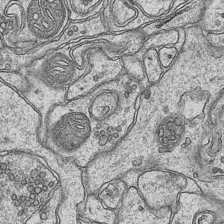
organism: Mouse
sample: CA1 Hippocampus